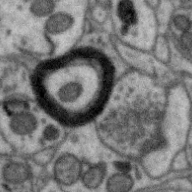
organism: Zebra finch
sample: Brain